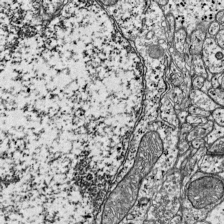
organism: Mouse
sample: Visual Cortex